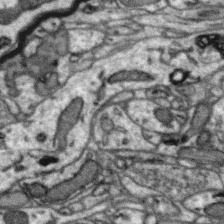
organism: Zebra finch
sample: Brain